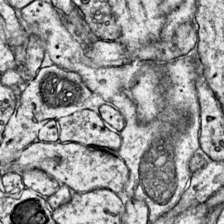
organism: Mouse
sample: Primary visual cortex